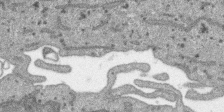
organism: Human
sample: Lung epithelial cells infected with SARS-CoV-2